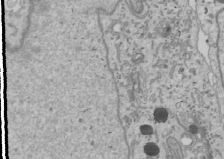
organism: Human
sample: Mitochondria in U2OS cells